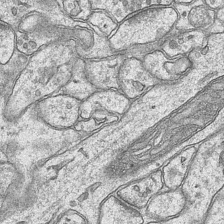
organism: Mouse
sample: CA1 Hippocampus